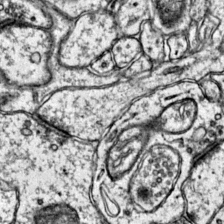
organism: Mouse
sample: Primary visual cortex